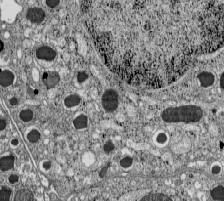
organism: C57BL Mouse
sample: Pancreatic islet